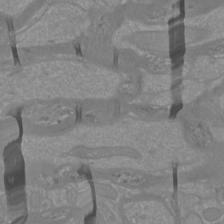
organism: Mouse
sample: Cortical neurons